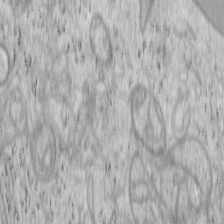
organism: Human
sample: HeLa cells